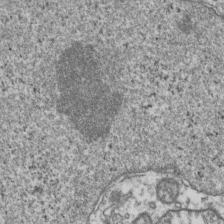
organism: Human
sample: Activated Jurkat CD4+ T cells